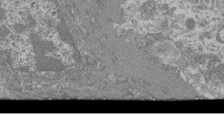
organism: Mouse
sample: Glomerulus